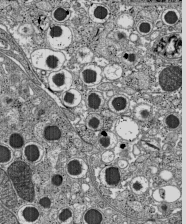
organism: C57BL Mouse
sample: Pancreatic islet